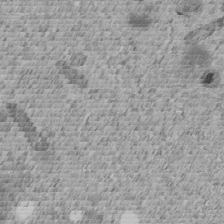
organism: C. elegans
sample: C. elegans embryo early stage